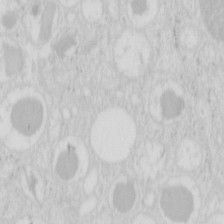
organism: Mouse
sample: Pancreas